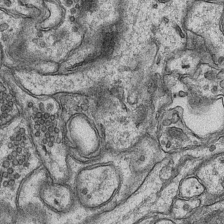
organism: Mouse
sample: CA1 Hippocampus